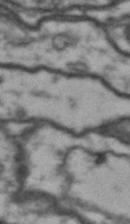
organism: Drosophila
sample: Brain